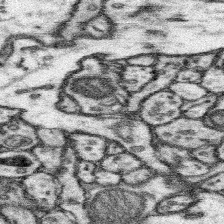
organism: Mouse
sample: Somatosensory cortex neuropil